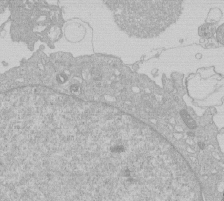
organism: Human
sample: Macrophage cells